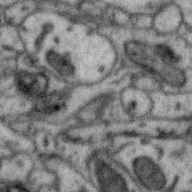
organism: Zebra finch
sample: Brain